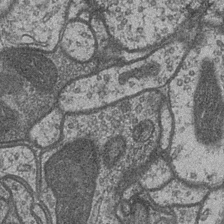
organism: Drosophila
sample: Optic medulla